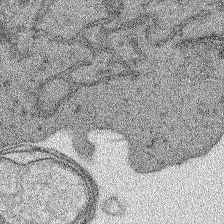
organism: Human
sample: HeLa cells